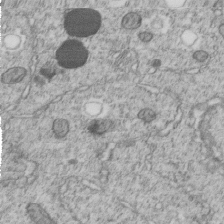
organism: C. elegans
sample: C. elegans embryo early stage